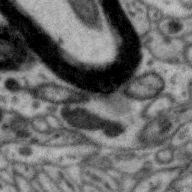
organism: Zebra finch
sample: Brain